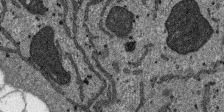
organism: Human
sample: Lung epithelial cells infected with SARS-CoV-2